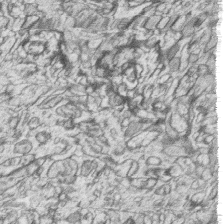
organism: Zebrafish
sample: synaptic ribbons in rod cells and cone cells